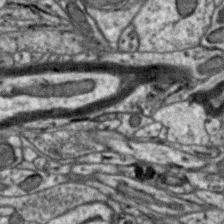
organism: Zebra finch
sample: Brain